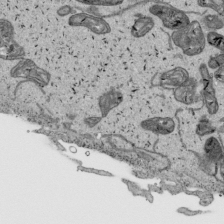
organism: Human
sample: Mitochondria in HCT116 cells